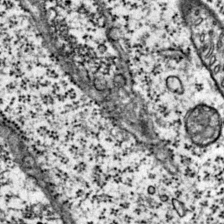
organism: Mouse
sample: Primary visual cortex